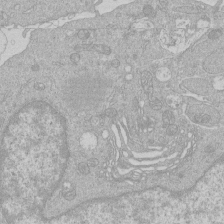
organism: Human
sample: Macrophage cells